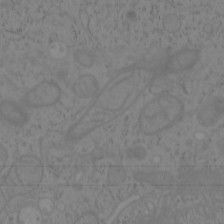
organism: Human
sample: HeLa cells